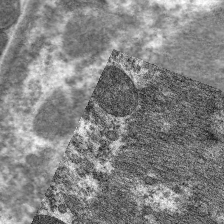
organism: C. elegans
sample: Pharynx